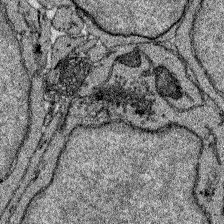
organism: Zebrafish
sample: Larval olfactory bulb